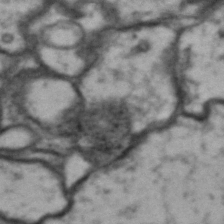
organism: Drosophila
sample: Brain